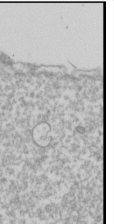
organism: Drosophila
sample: Cell division; meiosis; drosophila spermatocytes